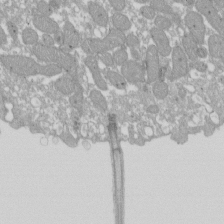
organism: Xenopus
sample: Cilia; centrioles in frog embryo cells